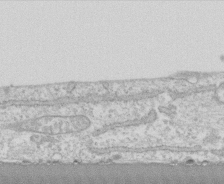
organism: Human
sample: CRL-1474